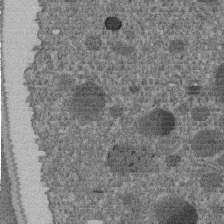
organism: C. elegans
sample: C. elegans embryo early stage